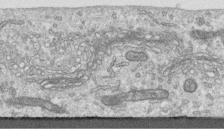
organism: Human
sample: Centriole in RPE cells